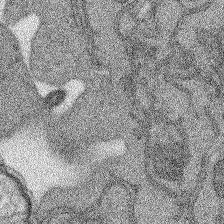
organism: Human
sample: HeLa cells